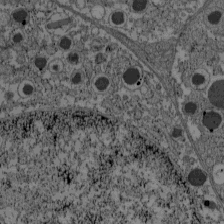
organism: C57BL Mouse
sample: Pancreatic islet